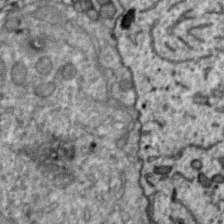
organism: Zebra finch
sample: Brain